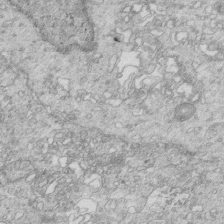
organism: Mouse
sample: Multiciliated cells